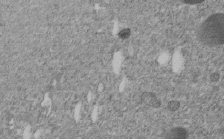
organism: C. elegans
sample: C. elegans embryo early stage